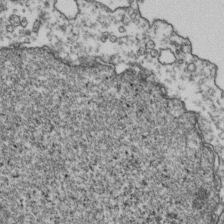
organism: Human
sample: Activated Jurkat CD4+ T cells